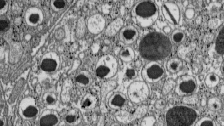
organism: C57BL Mouse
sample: Pancreatic islet